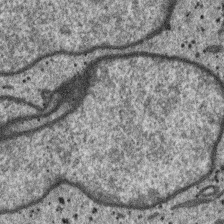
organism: Human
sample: Lung epithelial cells infected with SARS-CoV-2